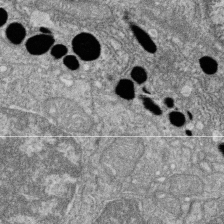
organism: Zebrafish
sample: Cilia; retinal pigment epithelium